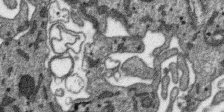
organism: Human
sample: Lung epithelial cells infected with SARS-CoV-2